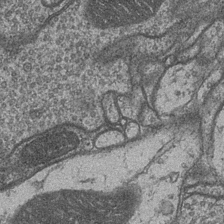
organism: Drosophila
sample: Optic medulla